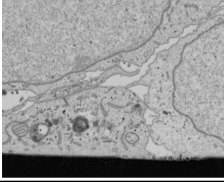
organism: Human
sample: Mitochondria in U2OS cells